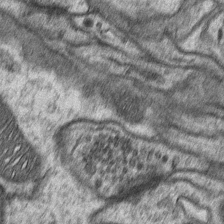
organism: Mouse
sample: CA1 Hippocampus